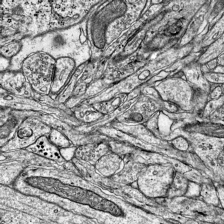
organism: Mouse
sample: Visual Cortex